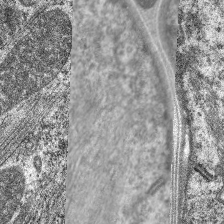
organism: C. elegans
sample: Pharynx